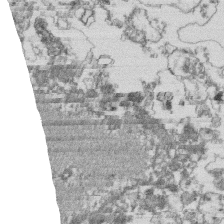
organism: Human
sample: HeLa cell HIV synapse